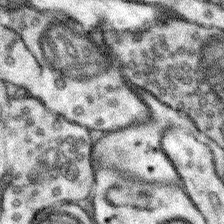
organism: Mouse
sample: Somatosensory cortex neuropil